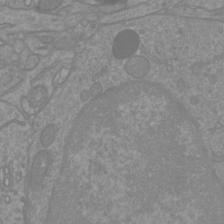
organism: Mouse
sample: Cortical neurons